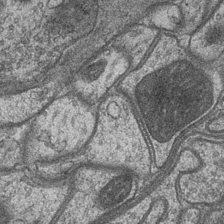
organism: Drosophila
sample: Optic medulla